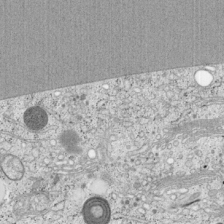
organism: African green monkey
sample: COS-7 cells